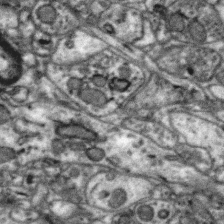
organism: Zebra finch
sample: Brain